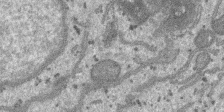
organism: Human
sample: Lung epithelial cells infected with SARS-CoV-2